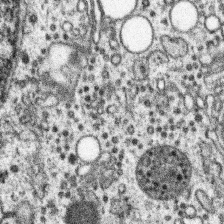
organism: Human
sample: HeLa cells